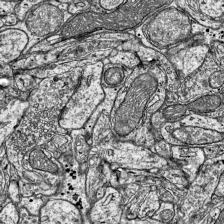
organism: Mouse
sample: Visual Cortex